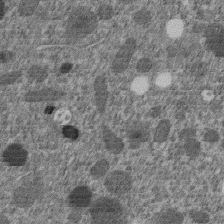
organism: C. elegans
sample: C. elegans embryo early stage